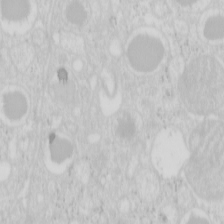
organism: Mouse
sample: Pancreas